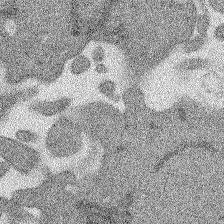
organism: Human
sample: HeLa cells